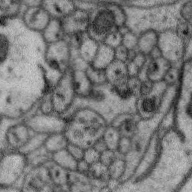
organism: Zebra finch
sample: Brain